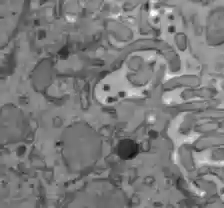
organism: C57BL Mouse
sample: Liver